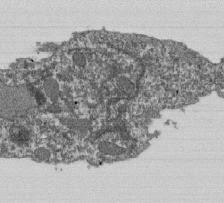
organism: Dictyostelium discoideum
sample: Dictyostelium multivesicular bodies